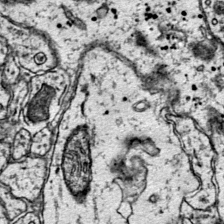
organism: Mouse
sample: Primary visual cortex